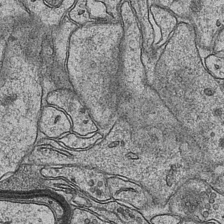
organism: Mouse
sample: CA1 Hippocampus